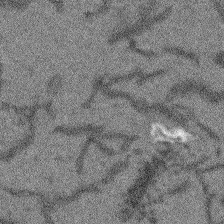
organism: Arabidopsis thaliana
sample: Root tip